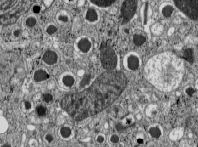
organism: C57BL Mouse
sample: Pancreatic islet